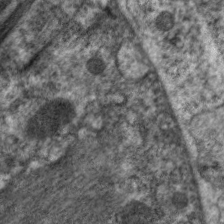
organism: C. elegans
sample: Pharynx